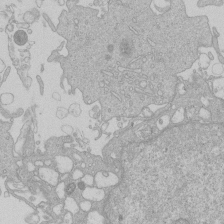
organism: Human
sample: Macrophage cells